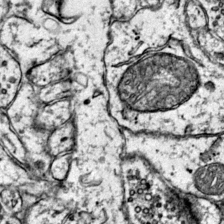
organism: Mouse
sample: Primary visual cortex